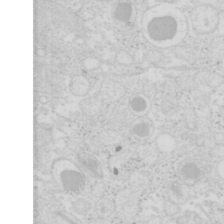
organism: Mouse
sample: Pancreas